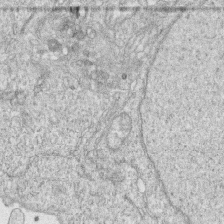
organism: Human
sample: HeLa cell HIV synapse